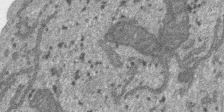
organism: Human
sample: Lung epithelial cells infected with SARS-CoV-2